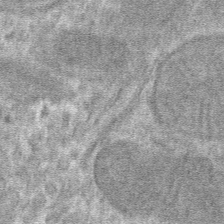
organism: Mouse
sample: Mouse hepatocytes